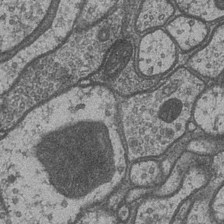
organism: Drosophila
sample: Optic medulla